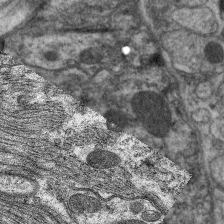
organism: C. elegans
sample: Pharynx